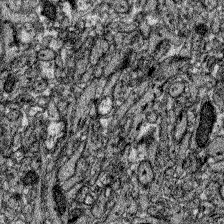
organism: Zebrafish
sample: Larval olfactory bulb